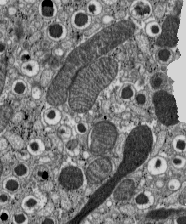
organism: C57BL Mouse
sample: Pancreatic islet